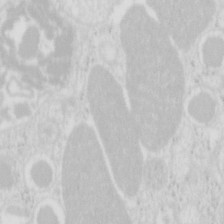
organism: Mouse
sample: Pancreas